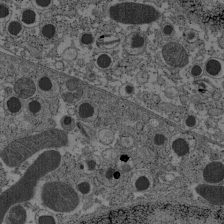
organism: C57BL Mouse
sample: Pancreatic islet